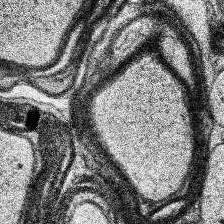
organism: Human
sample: Temporal Lobe